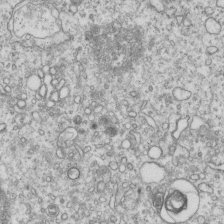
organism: Human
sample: MDA-MB-231 cells